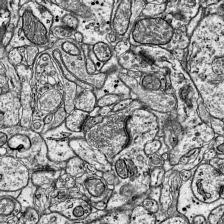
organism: Mouse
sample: Visual Cortex